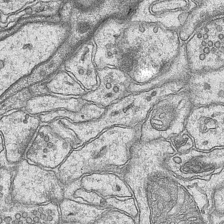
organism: Mouse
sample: CA1 Hippocampus